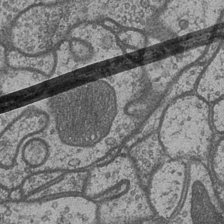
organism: Drosophila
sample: Optic medulla